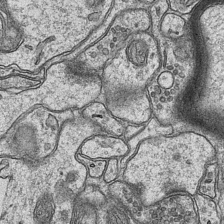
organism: Mouse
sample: CA1 Hippocampus